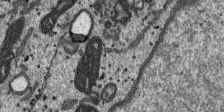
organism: Human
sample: Lung epithelial cells infected with SARS-CoV-2